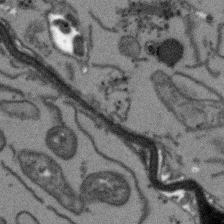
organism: Arabidopsis thaliana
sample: Root tip